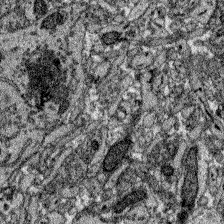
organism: Zebrafish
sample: Larval olfactory bulb